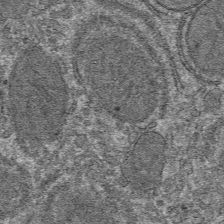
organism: Mouse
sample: Mouse hepatocytes